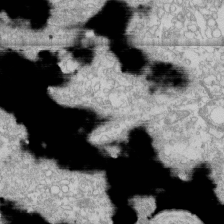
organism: Human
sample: CRL-1474